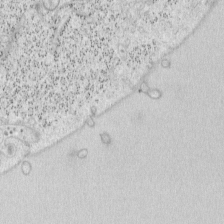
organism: Mouse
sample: OT-I killer T cells with ID8 ovarian cancer cells